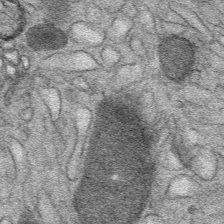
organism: Mouse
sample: Mouse Salivary gland